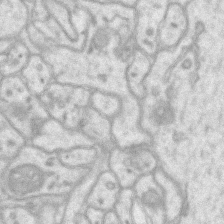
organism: Mouse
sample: CA1 Hippocampus